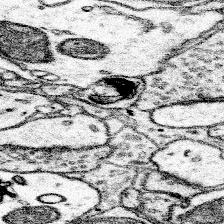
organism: Mouse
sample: Somatosensory cortex neuropil